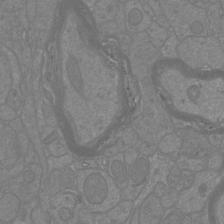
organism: Mouse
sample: Cortical neurons